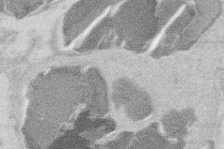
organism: Mouse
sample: T cell stromal cell synapse